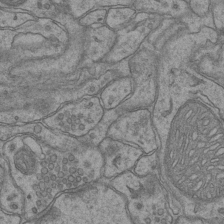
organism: Mouse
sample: CA1 Hippocampus